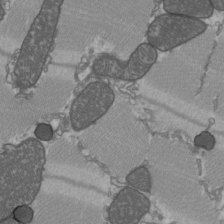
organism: C57BL Mouse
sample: Heart